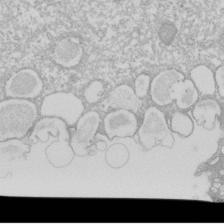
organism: Xenopus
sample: Cilia; centrioles in frog embryo cells